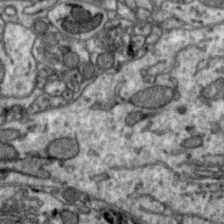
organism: Zebra finch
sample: Brain